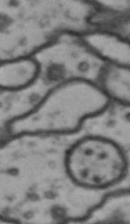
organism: Drosophila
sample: Brain